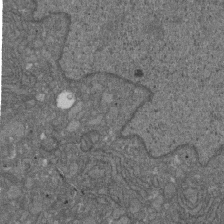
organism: Drosophila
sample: Nephrocyte